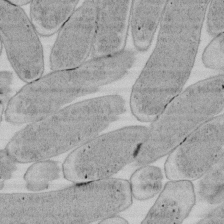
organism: E. coli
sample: Bacterial nucleoid